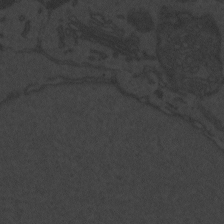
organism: Zebrafish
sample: Macrophage infected with Toxoplasma gondii